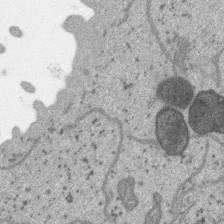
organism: Human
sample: Lung epithelial cells infected with SARS-CoV-2